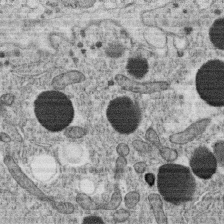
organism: C. elegans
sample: C. elegans oocyte; sperm cells